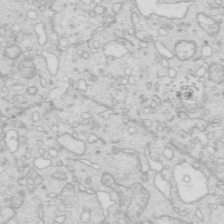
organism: Mouse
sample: Multiciliated cells